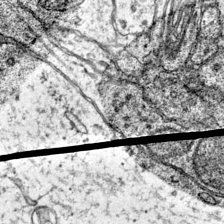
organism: Mouse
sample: Primary visual cortex